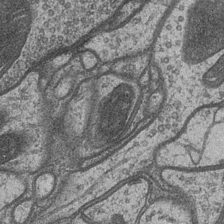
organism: Drosophila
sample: Optic medulla